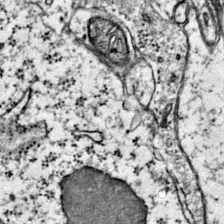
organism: Mouse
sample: Primary visual cortex